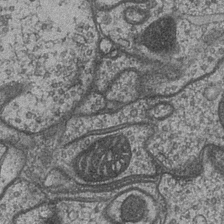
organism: Drosophila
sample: Optic medulla